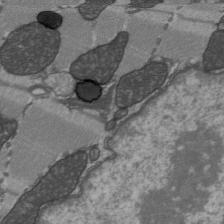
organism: C57BL Mouse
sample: Heart